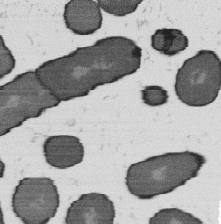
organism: B. subtilis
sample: Bacterial spore